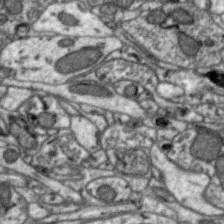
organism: Zebra finch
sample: Brain